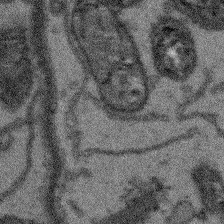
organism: Arabidopsis thaliana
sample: Root tip